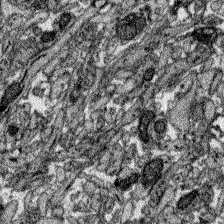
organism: Zebrafish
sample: Larval olfactory bulb